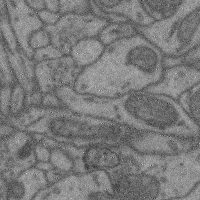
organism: Mouse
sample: Cerebral cortex